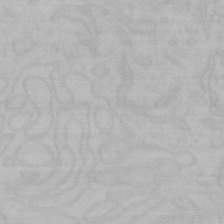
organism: Mouse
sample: Choroid plexus